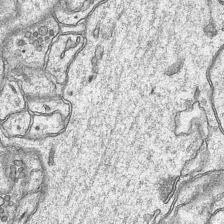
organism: Mouse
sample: CA1 Hippocampus